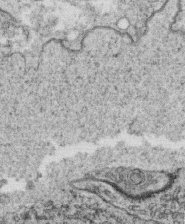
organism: C. elegans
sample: C. elegans oocyte; sperm cells